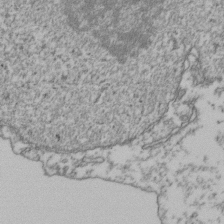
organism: Human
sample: Activated Jurkat CD4+ T cells